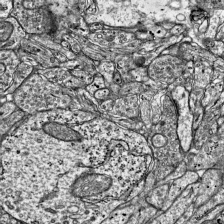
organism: Mouse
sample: Visual Cortex